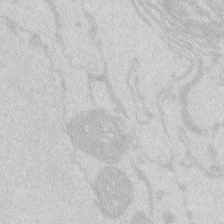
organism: Zebrafish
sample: Macrophage